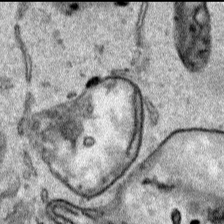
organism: Human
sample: Mitochondria in HCT116 cells